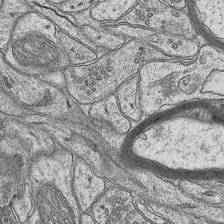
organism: Mouse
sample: CA1 Hippocampus